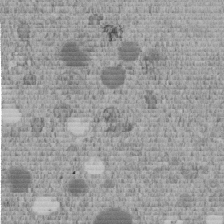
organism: C. elegans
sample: C. elegans embryo early stage